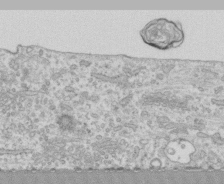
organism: Human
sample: CRL-1474